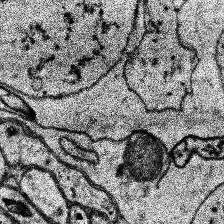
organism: Human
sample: Temporal Lobe